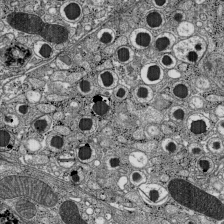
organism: C57BL Mouse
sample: Pancreatic islet